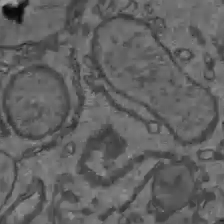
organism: C57BL Mouse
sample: Liver